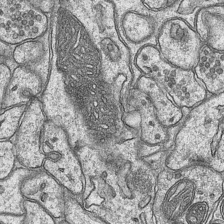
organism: Mouse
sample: CA1 Hippocampus